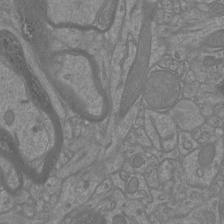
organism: Mouse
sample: Cortical neurons